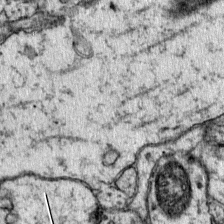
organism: Mouse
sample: Primary visual cortex